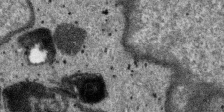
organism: Human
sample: Lung epithelial cells, uninfected (mock) control